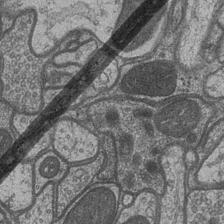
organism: Drosophila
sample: Optic medulla